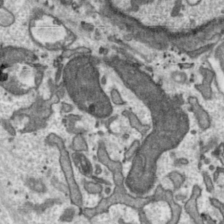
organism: Toxoplasma gondii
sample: Parasites in a vacuole inside a host cell